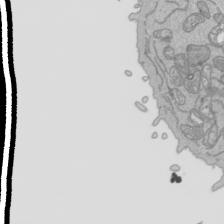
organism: Human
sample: Mitochondria in HCT116 cells